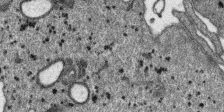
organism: Human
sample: Lung epithelial cells infected with SARS-CoV-2